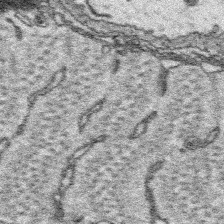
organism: Platynereis dumerilii